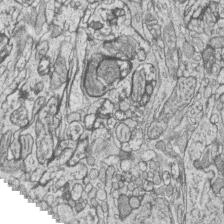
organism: Zebrafish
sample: synaptic ribbons in rod cells and cone cells